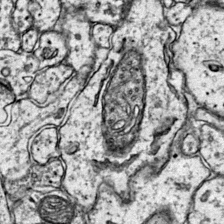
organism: Mouse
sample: Primary visual cortex